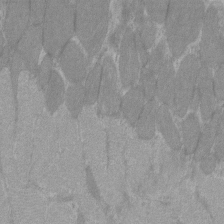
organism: C57BL Mouse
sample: Tibialis anterior muscle cell